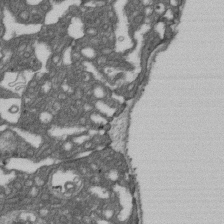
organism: Drosophila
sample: Nephrocyte